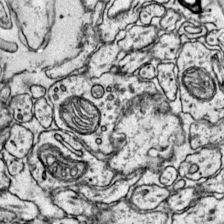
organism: Mouse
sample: Primary visual cortex